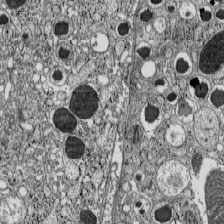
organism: C57BL Mouse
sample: Pancreatic islet